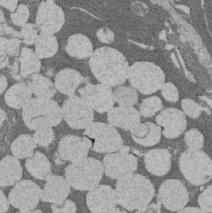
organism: Rat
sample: Salivary granule